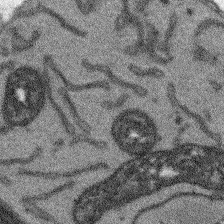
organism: Arabidopsis thaliana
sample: Root tip